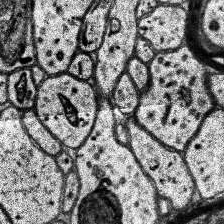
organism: Human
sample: Temporal Lobe